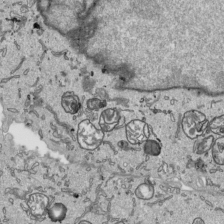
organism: Human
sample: Mitochondria in HCT116 cells